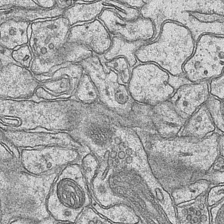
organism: Mouse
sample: CA1 Hippocampus